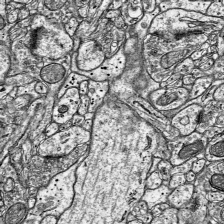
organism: Mouse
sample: Visual Cortex